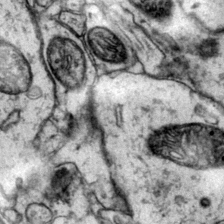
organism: Mouse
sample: Primary visual cortex